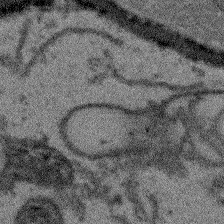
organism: Arabidopsis thaliana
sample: Root tip